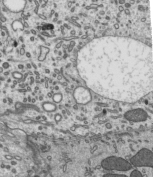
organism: Mouse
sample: Mouse epididymis efferent ductule cilia